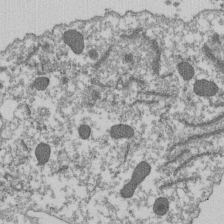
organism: Dictyostelium discoideum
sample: Dictyostelium multivesicular bodies